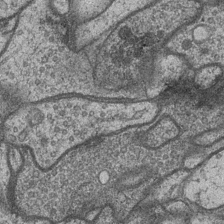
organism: Drosophila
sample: Optic medulla